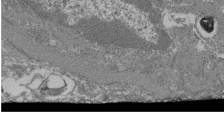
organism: Mouse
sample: Glomerulus